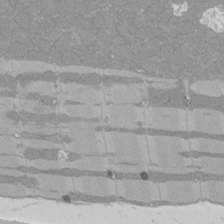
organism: Rat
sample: Left ventricle